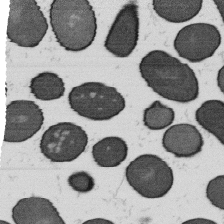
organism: B. subtilis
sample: Bacterial spore